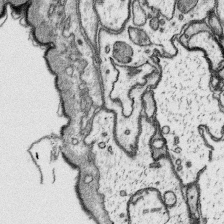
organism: Platynereis dumerilii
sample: Parapodia